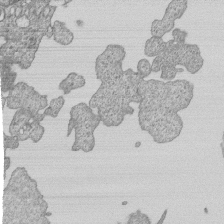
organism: Human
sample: MDA-MB-231 cells